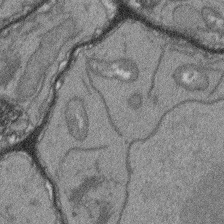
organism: Arabidopsis thaliana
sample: Root tip